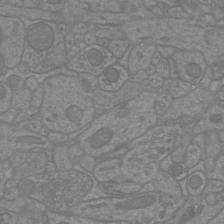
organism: Mouse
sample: Cortical neurons